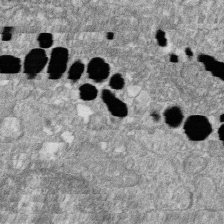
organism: Zebrafish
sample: Cilia; retinal pigment epithelium